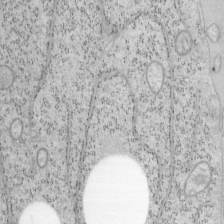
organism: Mouse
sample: OT-I killer T cells with ID8 ovarian cancer cells